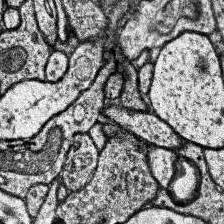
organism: Human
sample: Temporal Lobe